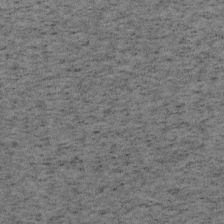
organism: Mouse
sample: OT-I killer T cells with ID8 ovarian cancer cells